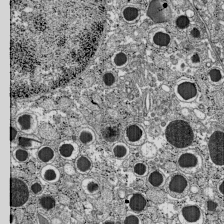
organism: C57BL Mouse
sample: Pancreatic islet